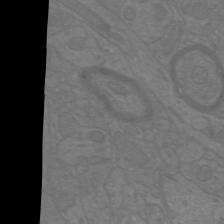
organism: Mouse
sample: Cortical neurons